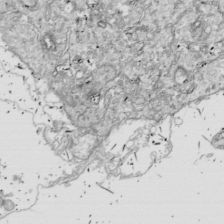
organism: Drosophila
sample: Cell division; meiosis; drosophila spermatocytes